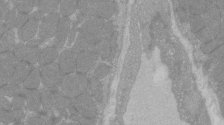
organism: C57BL Mouse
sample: Tibialis anterior muscle cell